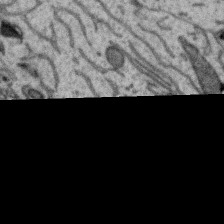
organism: Zebra finch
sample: Brain